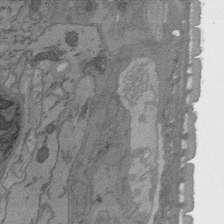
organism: C. elegans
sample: AFD neurons C. elegans